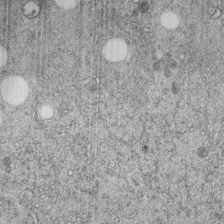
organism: C. elegans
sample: C. elegans embryo early stage